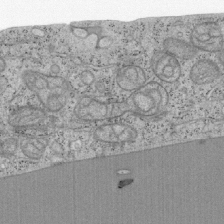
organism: Human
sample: HeLa cells